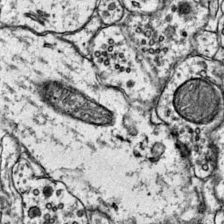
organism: Mouse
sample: Primary visual cortex